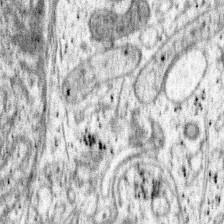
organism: Human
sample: HeLa cells